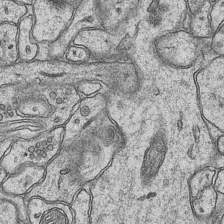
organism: Mouse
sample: CA1 Hippocampus